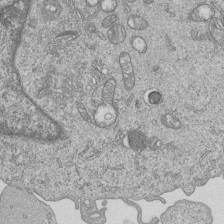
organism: Human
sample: MDA-MB-231 cells